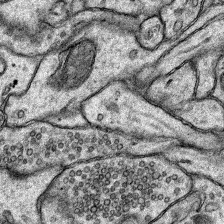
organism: Rat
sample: Hippocampus